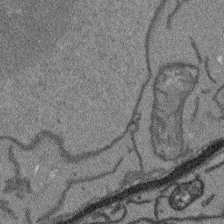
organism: Arabidopsis thaliana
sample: Root tip